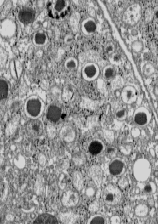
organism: C57BL Mouse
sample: Pancreatic islet